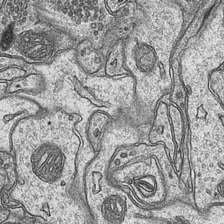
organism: Mouse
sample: CA1 Hippocampus